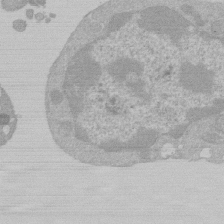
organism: Mouse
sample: Activated Pmel transgenic CD8+ T Cells